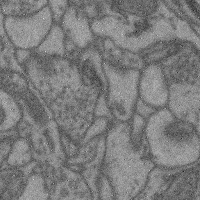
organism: Mouse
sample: Cerebral cortex